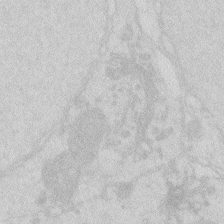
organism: Zebrafish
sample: Macrophage